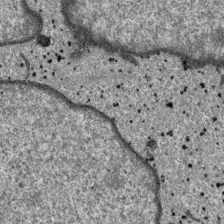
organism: Human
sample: Lung epithelial cells, uninfected (mock) control